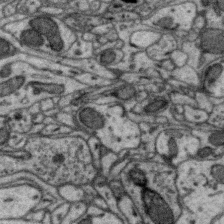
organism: Zebra finch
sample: Brain